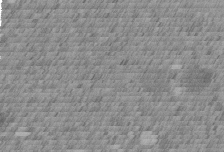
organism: C. elegans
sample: C. elegans embryo early stage